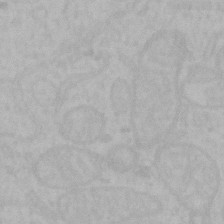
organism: Mouse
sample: Choroid plexus